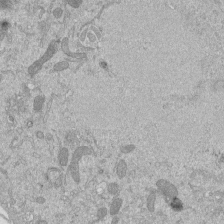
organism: Mouse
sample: ED-1 cell nuclei; centrioles